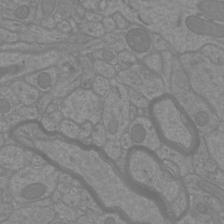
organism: Mouse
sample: Cortical neurons